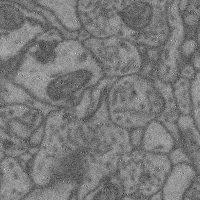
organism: Mouse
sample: Cerebral cortex